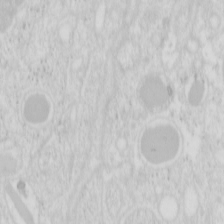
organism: Mouse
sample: Pancreas